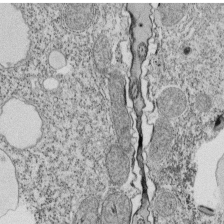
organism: Tetrahymena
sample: Cilia in tetrahymena